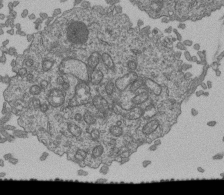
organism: Human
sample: Retinal organoid Rod and Cone cells